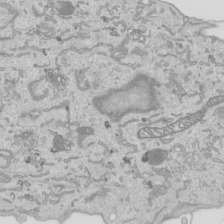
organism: Human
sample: Mitochondria in HCT116 cells